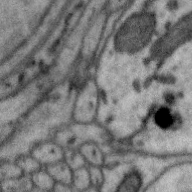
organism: Zebra finch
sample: Brain